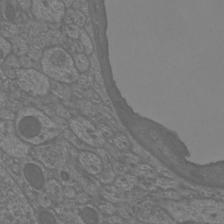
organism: Mouse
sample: Cortical neurons